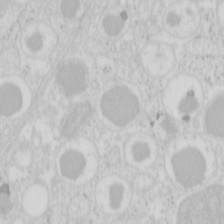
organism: Mouse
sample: Pancreas